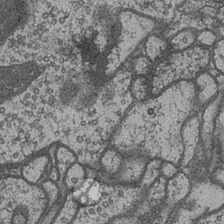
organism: Drosophila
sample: Optic medulla